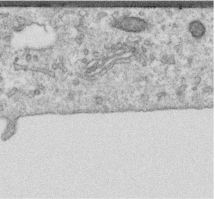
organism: Human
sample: Centriole in RPE cells